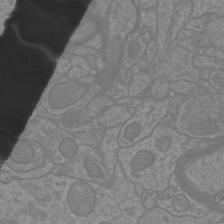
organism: Mouse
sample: Cortical neurons